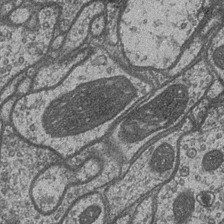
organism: Drosophila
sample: Optic medulla